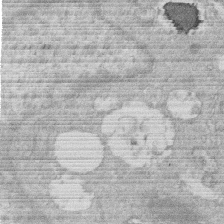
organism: Human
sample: Macrophage cells